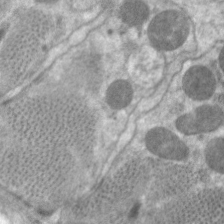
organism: C. elegans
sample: Pharynx